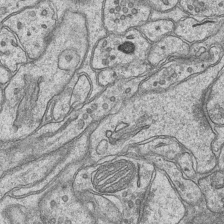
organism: Mouse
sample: CA1 Hippocampus